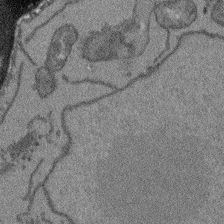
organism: Arabidopsis thaliana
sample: Root tip